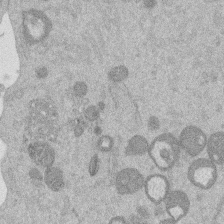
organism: Mouse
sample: Dividing mouse embryo 1 cell stage